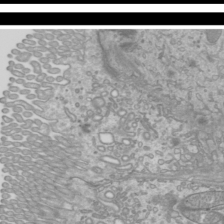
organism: Mouse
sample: Cilia; mouse epididymis